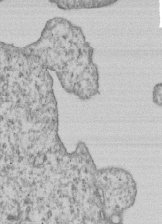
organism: Human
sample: MDA-MB-231 cells